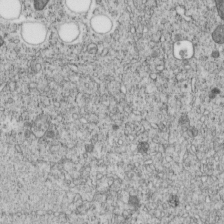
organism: C. elegans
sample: C. elegans embryo early stage